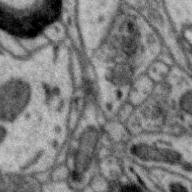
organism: Zebra finch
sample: Brain